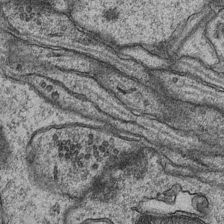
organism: Mouse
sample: CA1 Hippocampus